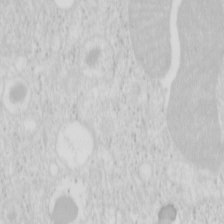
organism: Mouse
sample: Pancreas